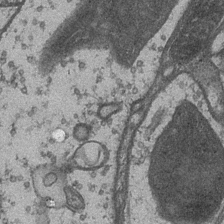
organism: Drosophila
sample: Optic medulla